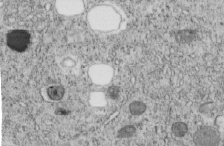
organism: C. elegans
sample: C. elegans embryo early stage